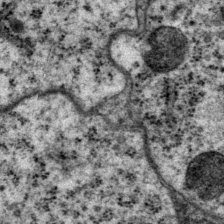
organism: P. pacificus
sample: Pharynx